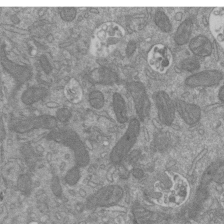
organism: Mouse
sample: ED-1 cell nuclei; centrioles